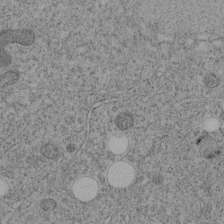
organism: C. elegans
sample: C. elegans embryo early stage